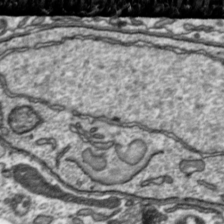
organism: Toxoplasma gondii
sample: Parasites in a vacuole inside a host cell